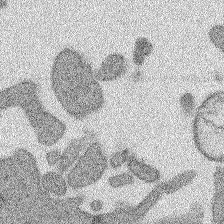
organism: Human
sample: HeLa cells